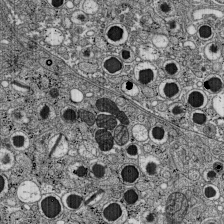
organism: C57BL Mouse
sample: Pancreatic islet